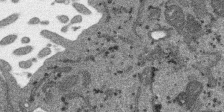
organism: Human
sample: Lung epithelial cells infected with SARS-CoV-2